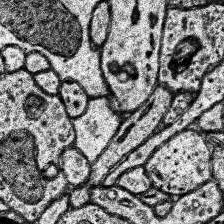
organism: Human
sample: Temporal Lobe